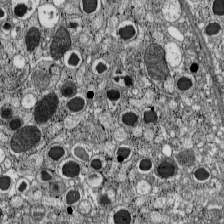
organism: C57BL Mouse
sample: Pancreatic islet